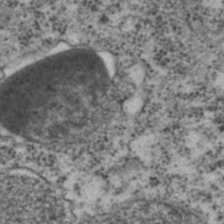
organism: C. elegans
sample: C. elegans embryo